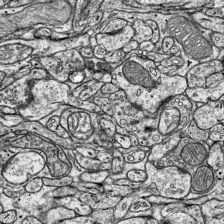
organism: Mouse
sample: Visual Cortex